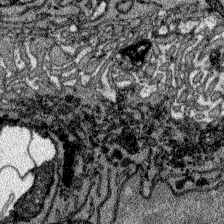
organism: Zebrafish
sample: Larval olfactory bulb